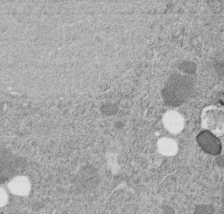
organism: C. elegans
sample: C. elegans embryo early stage